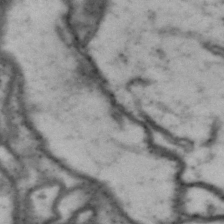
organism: Drosophila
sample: Brain